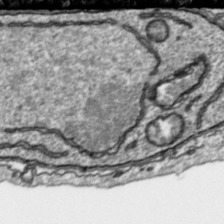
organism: Toxoplasma gondii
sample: Parasites in a vacuole inside a host cell